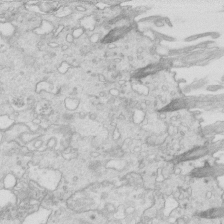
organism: Mouse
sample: Multiciliated cells